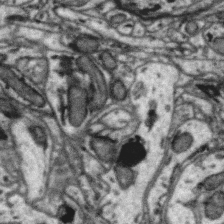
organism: Zebra finch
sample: Brain